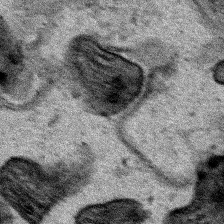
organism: Human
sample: Mitochondria in HCT116 cells